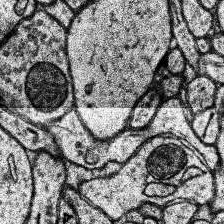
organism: Human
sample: Temporal Lobe